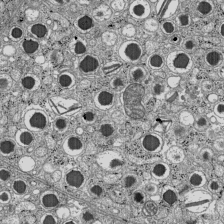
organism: C57BL Mouse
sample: Pancreatic islet